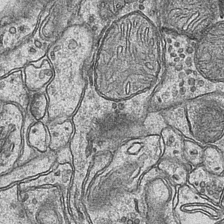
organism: Mouse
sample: CA1 Hippocampus